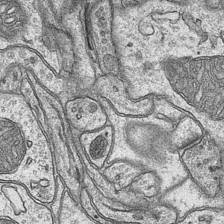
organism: Mouse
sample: CA1 Hippocampus